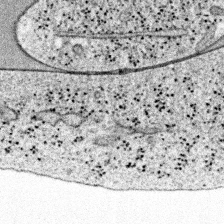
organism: Human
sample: HeLa cells